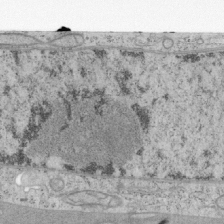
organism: Human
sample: HeLa cells